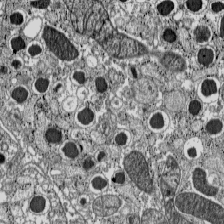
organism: C57BL Mouse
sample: Pancreatic islet